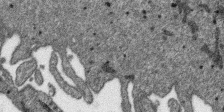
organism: Human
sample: Lung epithelial cells infected with SARS-CoV-2